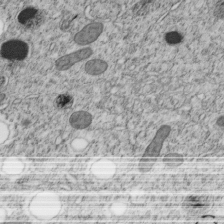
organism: C. elegans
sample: C. elegans embryo early stage